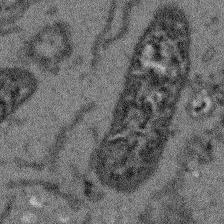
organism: Arabidopsis thaliana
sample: Root tip